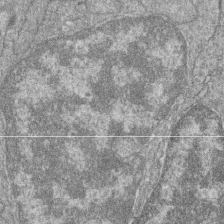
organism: Zebrafish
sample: Cilia; retinal pigment epithelium